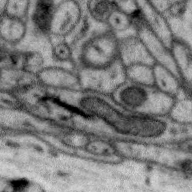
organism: Zebra finch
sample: Brain